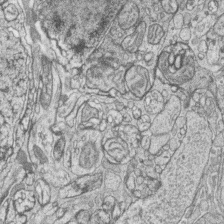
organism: Zebrafish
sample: synaptic ribbons in rod cells and cone cells